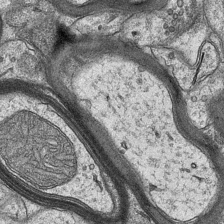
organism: Mouse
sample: CA1 Hippocampus